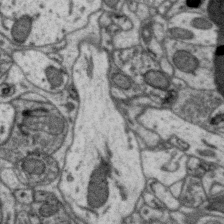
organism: Zebra finch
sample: Brain